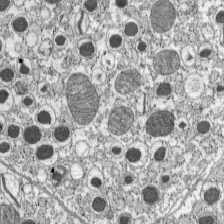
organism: C57BL Mouse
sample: Pancreatic islet